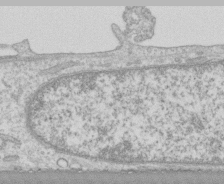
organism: Human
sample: CRL-1474